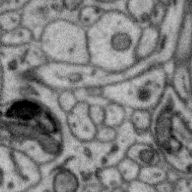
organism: Zebra finch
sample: Brain